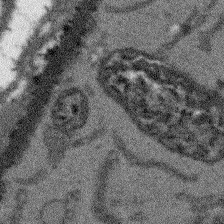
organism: Arabidopsis thaliana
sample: Root tip